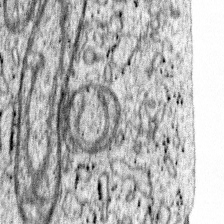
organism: Human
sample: HeLa cells